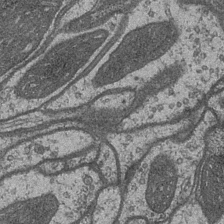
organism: Drosophila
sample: Optic medulla